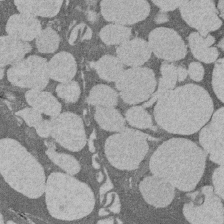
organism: Rat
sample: Salivary granule